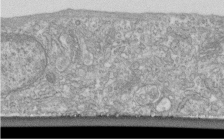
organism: Human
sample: Centriole in fibroblast cells